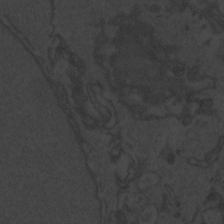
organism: Zebrafish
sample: Macrophage infected with Toxoplasma gondii